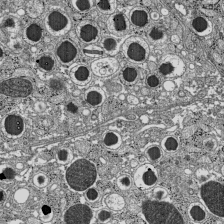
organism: C57BL Mouse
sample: Pancreatic islet